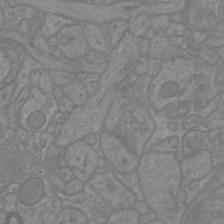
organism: Mouse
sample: Cortical neurons